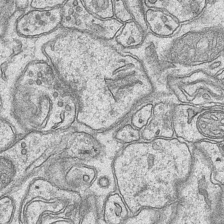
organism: Mouse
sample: CA1 Hippocampus